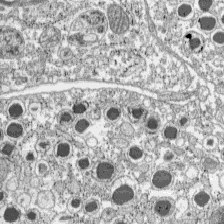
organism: C57BL Mouse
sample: Pancreatic islet